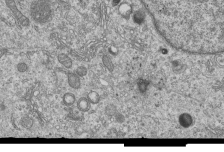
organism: Human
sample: MDA-MB-231 cells